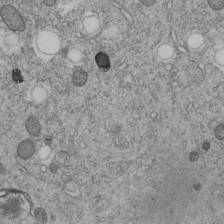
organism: C. elegans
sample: C. elegans embryo early stage